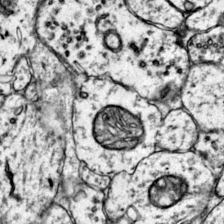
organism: Mouse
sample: Primary visual cortex